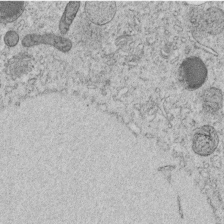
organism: C. elegans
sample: C. elegans embryo early stage